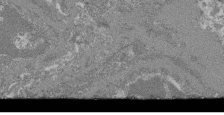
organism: Mouse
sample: Glomerulus